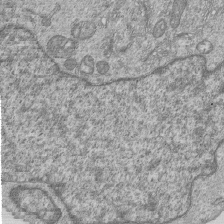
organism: Human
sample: MDA-MB-231 cells